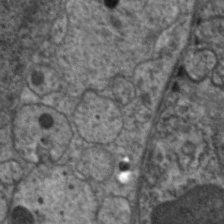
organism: C. elegans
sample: Pharynx